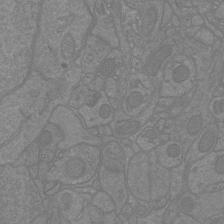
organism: Mouse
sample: Cortical neurons